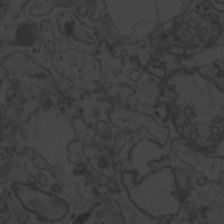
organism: Zebrafish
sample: Macrophage infected with Toxoplasma gondii